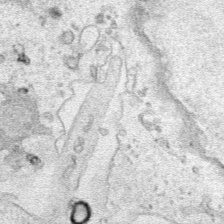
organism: Human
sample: Mitochondria in HCT116 cells